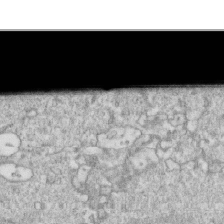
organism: Mouse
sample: Activated OT-1 CD8+ T cells